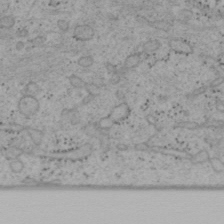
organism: Human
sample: HeLa cells